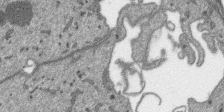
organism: Human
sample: Lung epithelial cells infected with SARS-CoV-2